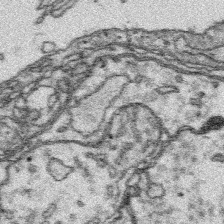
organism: Platynereis dumerilii